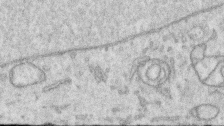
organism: Human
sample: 1205lu cells